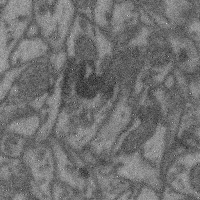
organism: Mouse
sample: Cerebral cortex